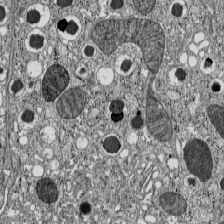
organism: C57BL Mouse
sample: Pancreatic islet